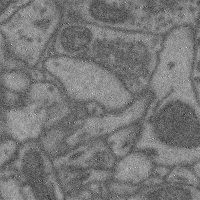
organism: Mouse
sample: Cerebral cortex